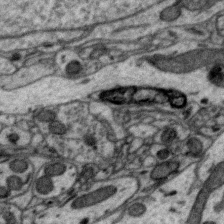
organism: Zebra finch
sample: Brain